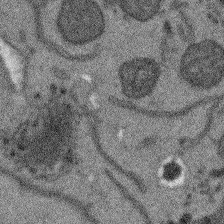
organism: Arabidopsis thaliana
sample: Root tip